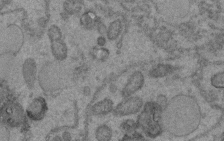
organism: C. elegans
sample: C. elegans embryo early stage